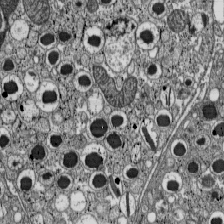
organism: C57BL Mouse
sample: Pancreatic islet